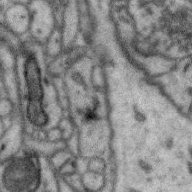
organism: Zebra finch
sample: Brain